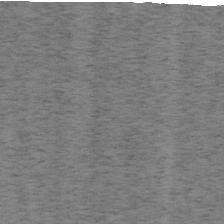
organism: Mouse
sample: OT-I killer T cells with ID8 ovarian cancer cells